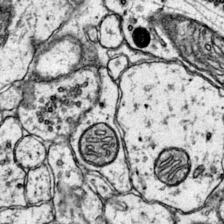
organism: Mouse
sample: Primary visual cortex